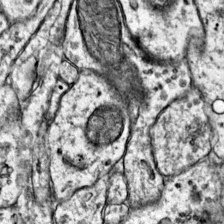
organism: Mouse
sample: Primary visual cortex